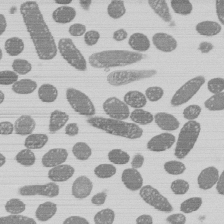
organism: E. coli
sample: Bacterial nucleoid